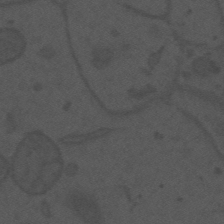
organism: Mouse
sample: Suprachiasmatic nucleus